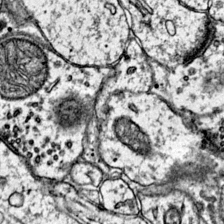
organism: Mouse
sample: Primary visual cortex